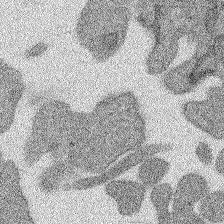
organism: Human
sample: HeLa cells